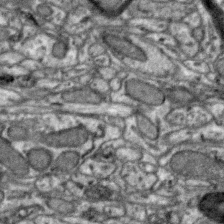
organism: Zebra finch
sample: Brain